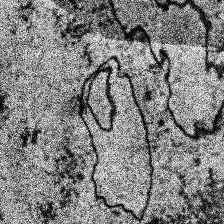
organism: Human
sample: Temporal Lobe